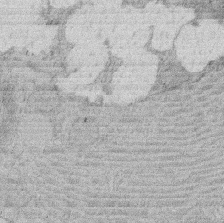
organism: Rat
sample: Salivary granule